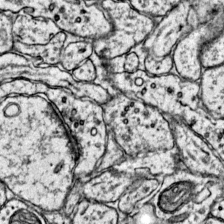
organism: Mouse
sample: Primary visual cortex